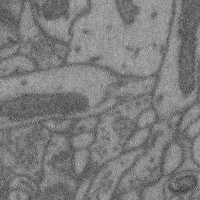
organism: Mouse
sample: Cerebral cortex